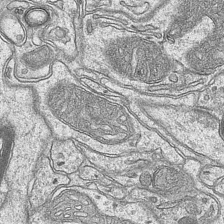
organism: Mouse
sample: CA1 Hippocampus